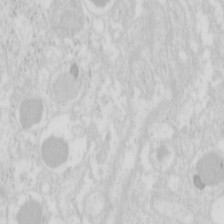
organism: Mouse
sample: Pancreas